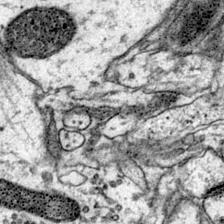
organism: Mouse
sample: Primary visual cortex